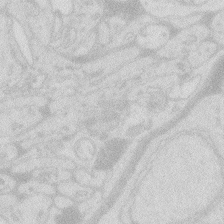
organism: Zebrafish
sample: Macrophage